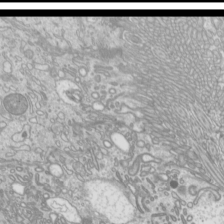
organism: Mouse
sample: Cilia; mouse epididymis